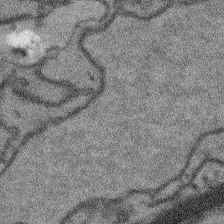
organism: Arabidopsis thaliana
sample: Root tip